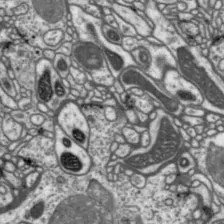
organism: Drosophila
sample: Protocerebral bridge